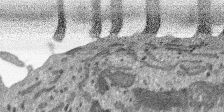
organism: Human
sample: Lung epithelial cells infected with SARS-CoV-2